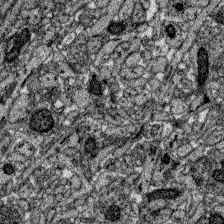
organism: Zebrafish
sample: Larval olfactory bulb